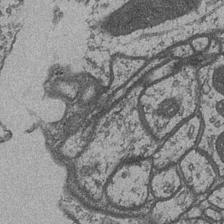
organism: Drosophila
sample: Optic medulla